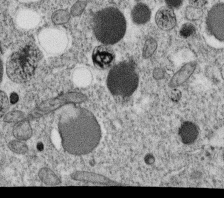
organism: C. elegans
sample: C. elegans oocyte; sperm cells